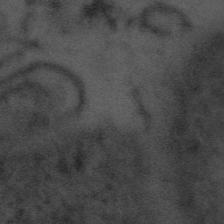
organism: Tuwongella immobilis